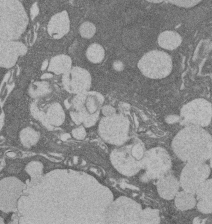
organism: Rat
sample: Salivary granule